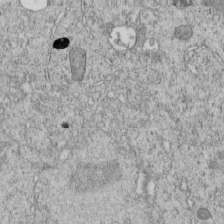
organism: C. elegans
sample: C. elegans embryo early stage